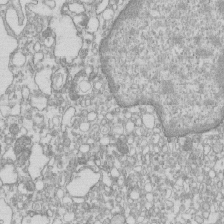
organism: Mouse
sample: Macrophages